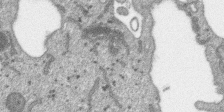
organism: Human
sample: Lung epithelial cells infected with SARS-CoV-2